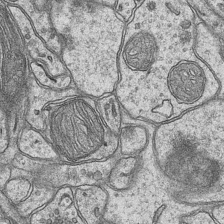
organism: Mouse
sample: CA1 Hippocampus